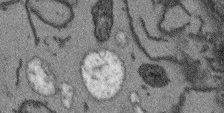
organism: Arabidopsis thaliana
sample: Root tip